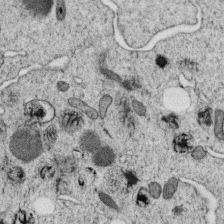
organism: C. elegans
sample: C. elegans oocyte; sperm cells